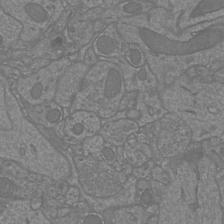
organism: Mouse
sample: Cortical neurons